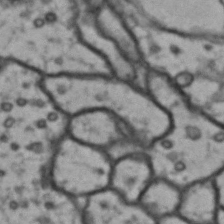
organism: Drosophila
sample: Brain